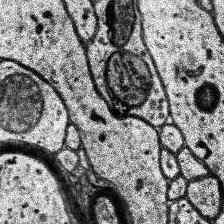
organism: Human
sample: Temporal Lobe